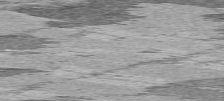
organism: C57BL Mouse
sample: Heart